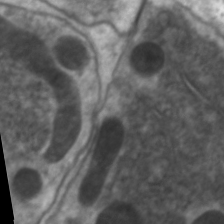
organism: C. elegans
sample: Pharynx